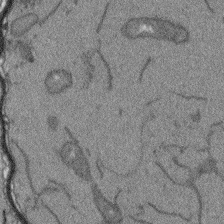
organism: Arabidopsis thaliana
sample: Root tip